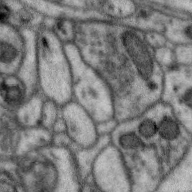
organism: Zebra finch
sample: Brain